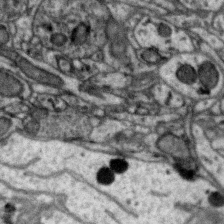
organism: Zebra finch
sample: Brain